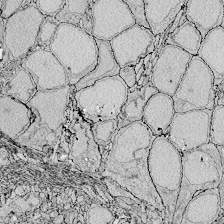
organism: Zebrafish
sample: Whole-Brain